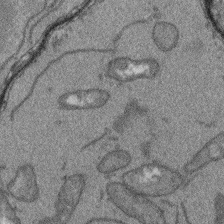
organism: Arabidopsis thaliana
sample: Root tip